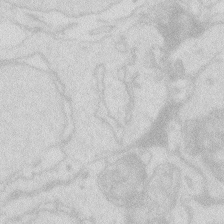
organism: Zebrafish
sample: Macrophage